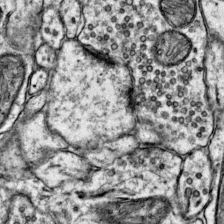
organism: Mouse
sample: Primary visual cortex